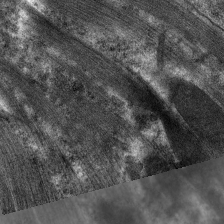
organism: C. elegans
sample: Pharynx